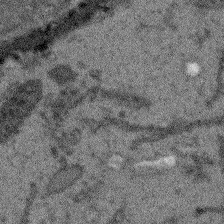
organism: Arabidopsis thaliana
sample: Root tip